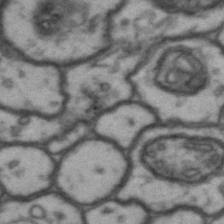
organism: Drosophila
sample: Brain